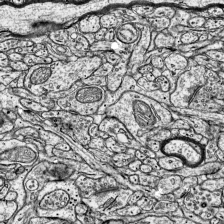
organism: Mouse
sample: Visual Cortex